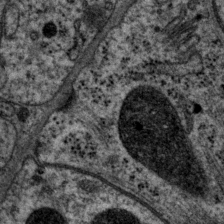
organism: P. pacificus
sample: Pharynx